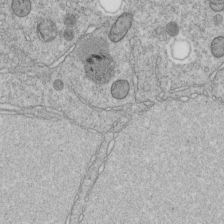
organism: C. elegans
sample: C. elegans embryo early stage